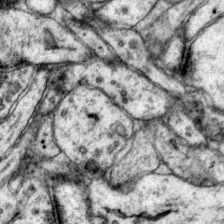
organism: Mouse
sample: Primary visual cortex